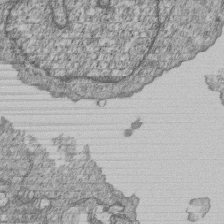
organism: Human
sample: MDA-MB-231 cells